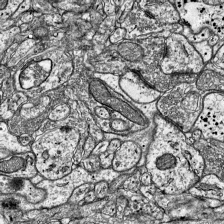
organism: Mouse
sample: Visual Cortex